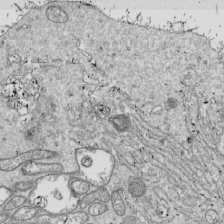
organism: Drosophila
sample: Cell division; meiosis; drosophila spermatocytes